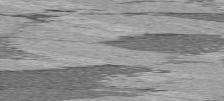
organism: C57BL Mouse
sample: Heart